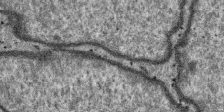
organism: Human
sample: Lung epithelial cells, uninfected (mock) control